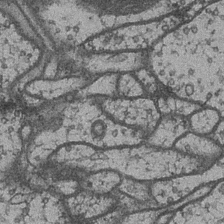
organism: Drosophila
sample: Optic medulla